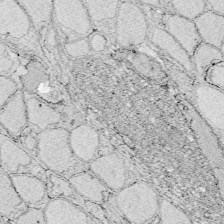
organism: Zebrafish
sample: Whole-Brain